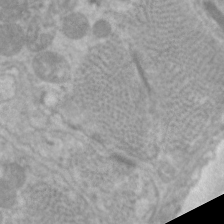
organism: C. elegans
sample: Pharynx